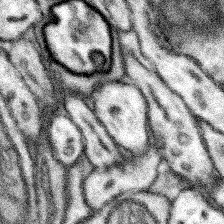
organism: Mouse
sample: Somatosensory cortex neuropil